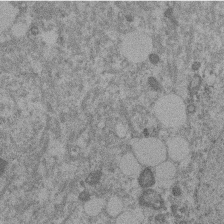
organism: Mouse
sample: Dividing mouse embryo 1 cell stage